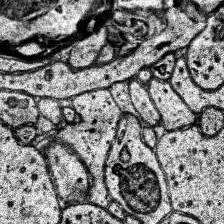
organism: Human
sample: Temporal Lobe